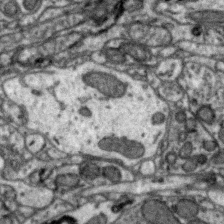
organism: Zebra finch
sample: Brain